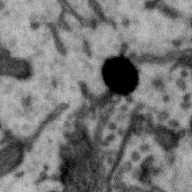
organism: Zebra finch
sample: Brain